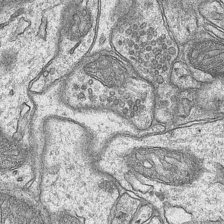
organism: Mouse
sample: CA1 Hippocampus